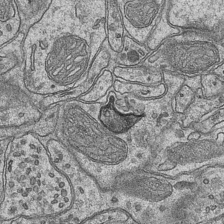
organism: Mouse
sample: CA1 Hippocampus